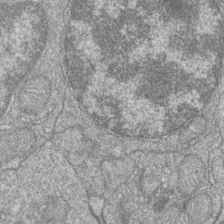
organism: Zebrafish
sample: Cilia; retinal pigment epithelium